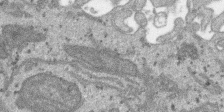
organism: Human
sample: Lung epithelial cells infected with SARS-CoV-2